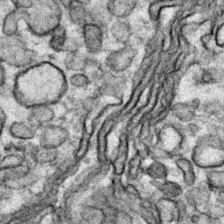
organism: Zebrafish